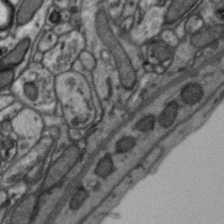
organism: Zebra finch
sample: Brain